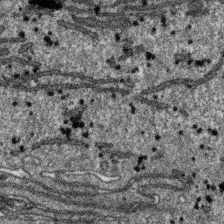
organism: Human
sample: Lung epithelial cells infected with SARS-CoV-2